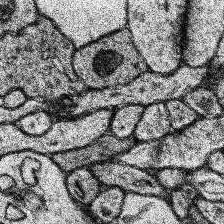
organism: Human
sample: Temporal Lobe